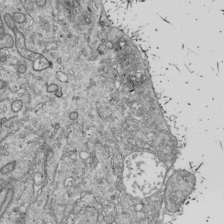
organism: Drosophila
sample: Cell division; meiosis; drosophila spermatocytes